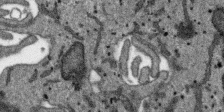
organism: Human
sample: Lung epithelial cells, uninfected (mock) control